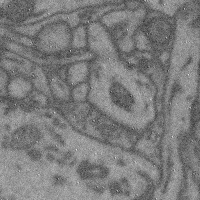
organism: Mouse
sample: Cerebral cortex